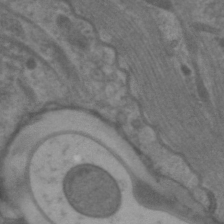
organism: C. elegans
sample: Pharynx